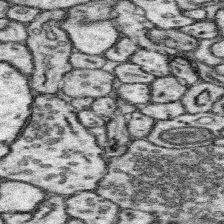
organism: Mouse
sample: Somatosensory cortex neuropil